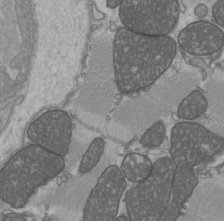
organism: C57BL Mouse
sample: Heart